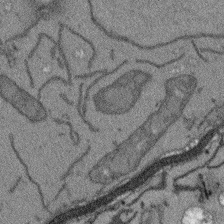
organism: Arabidopsis thaliana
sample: Root tip